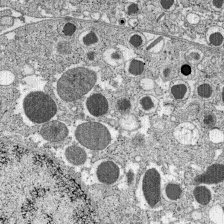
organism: C57BL Mouse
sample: Pancreatic islet